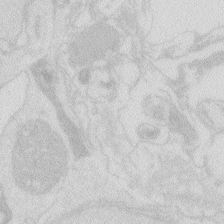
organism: Zebrafish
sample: Macrophage